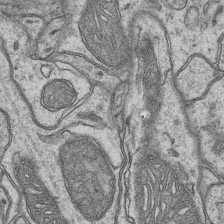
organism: Mouse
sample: CA1 Hippocampus